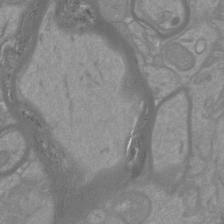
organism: Mouse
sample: Cortical neurons